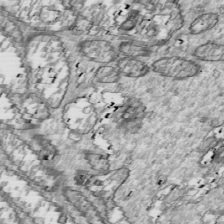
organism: Drosophila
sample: Cell division; meiosis; drosophila spermatocytes